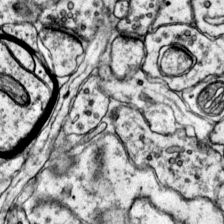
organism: Mouse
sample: Primary visual cortex